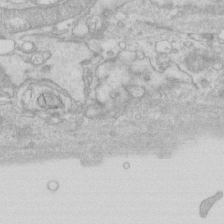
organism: Human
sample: Fibroblast cells